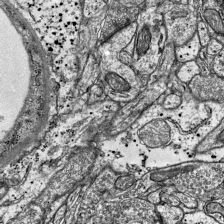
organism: Mouse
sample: Visual Cortex